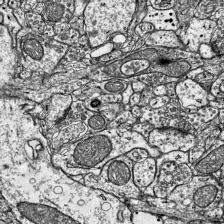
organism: Mouse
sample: Visual Cortex